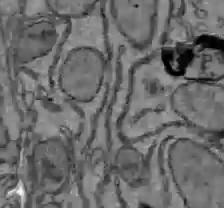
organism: C57BL Mouse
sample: Liver